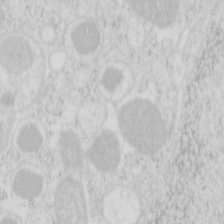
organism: Mouse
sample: Pancreas